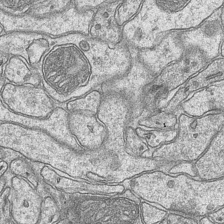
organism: Mouse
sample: CA1 Hippocampus